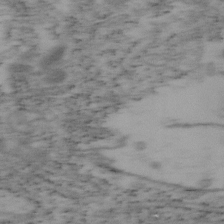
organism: Mouse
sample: OT-I killer T cells with ID8 ovarian cancer cells